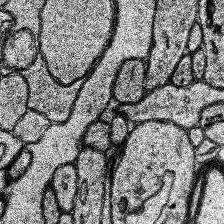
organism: Human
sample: Temporal Lobe